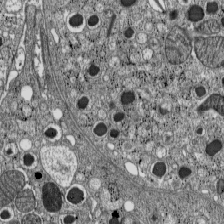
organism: C57BL Mouse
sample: Pancreatic islet